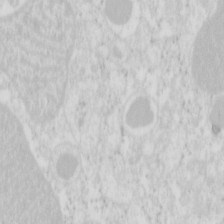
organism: Mouse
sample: Pancreas